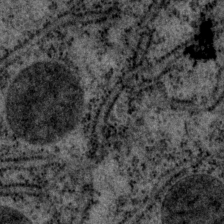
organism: P. pacificus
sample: Pharynx